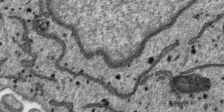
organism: Human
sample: Lung epithelial cells, uninfected (mock) control